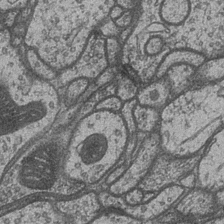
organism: Drosophila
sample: Optic medulla